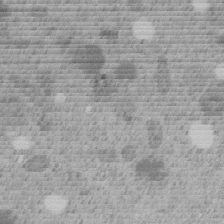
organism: C. elegans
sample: C. elegans embryo early stage